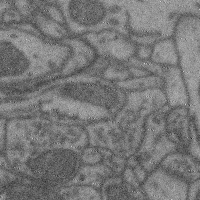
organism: Mouse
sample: Cerebral cortex